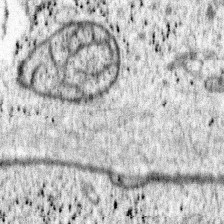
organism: Human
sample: HeLa cells